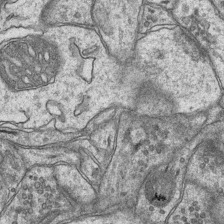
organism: Mouse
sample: CA1 Hippocampus